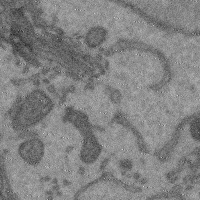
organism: Mouse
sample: Cerebral cortex